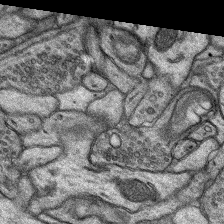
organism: Rat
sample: Hippocampus